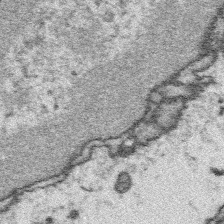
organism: Platynereis dumerilii